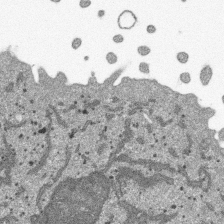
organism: Human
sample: Lung epithelial cells infected with SARS-CoV-2